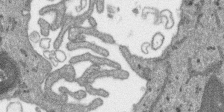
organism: Human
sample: Lung epithelial cells infected with SARS-CoV-2